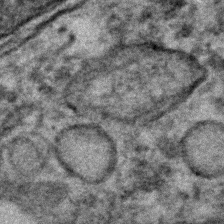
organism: Human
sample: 1205lu cells